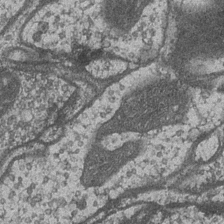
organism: Drosophila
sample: Optic medulla